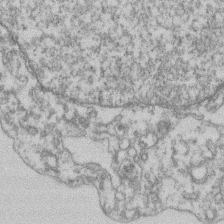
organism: Mouse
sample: T cell stromal cell synapse